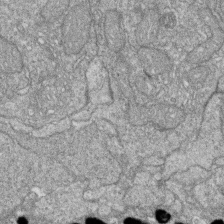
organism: Zebrafish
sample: Cilia; retinal pigment epithelium